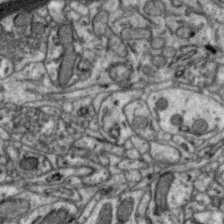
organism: Zebra finch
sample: Brain